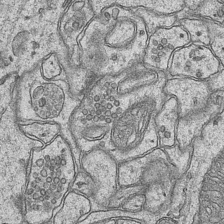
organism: Mouse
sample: CA1 Hippocampus